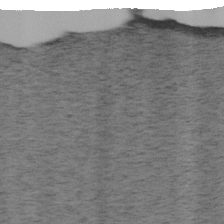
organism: Mouse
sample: OT-I killer T cells with ID8 ovarian cancer cells